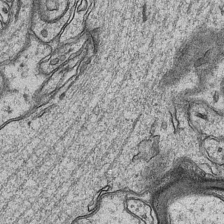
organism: Mouse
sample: CA1 Hippocampus